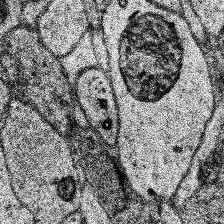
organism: Human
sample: Temporal Lobe